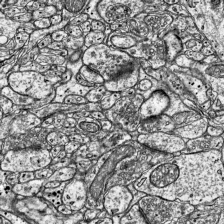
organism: Mouse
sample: Visual Cortex